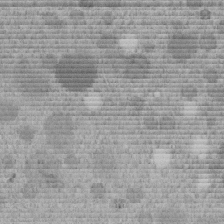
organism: C. elegans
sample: C. elegans embryo early stage